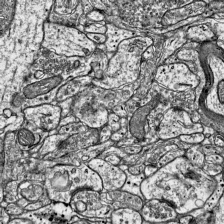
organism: Mouse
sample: Visual Cortex